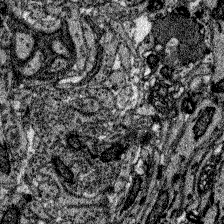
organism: Zebrafish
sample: Larval olfactory bulb